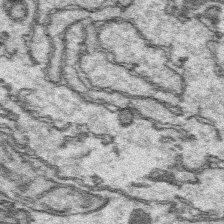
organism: Platynereis dumerilii